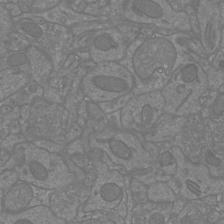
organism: Mouse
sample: Cortical neurons